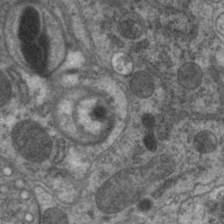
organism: C. elegans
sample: Pharynx